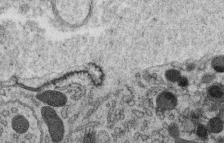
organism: C. elegans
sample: C. elegans oocyte; sperm cells